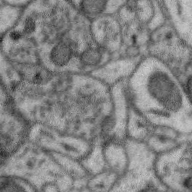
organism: Zebra finch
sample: Brain